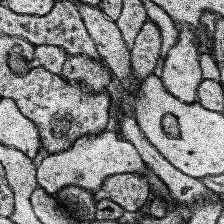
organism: Human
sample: Temporal Lobe